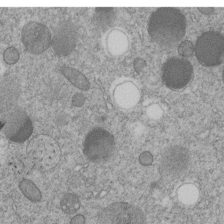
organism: C. elegans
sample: C. elegans embryo early stage